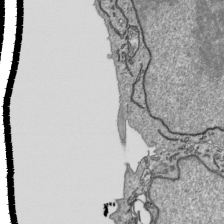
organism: Human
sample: Mitochondria in HCT116 cells